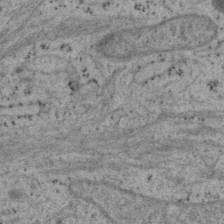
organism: Human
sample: HeLa cells